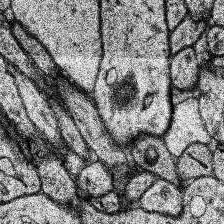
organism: Human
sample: Temporal Lobe